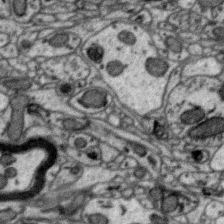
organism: Zebra finch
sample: Brain